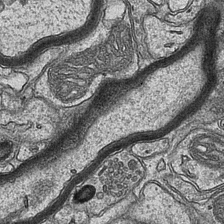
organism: Mouse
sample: CA1 Hippocampus